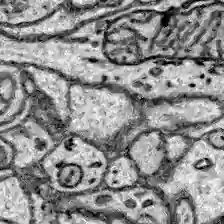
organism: Zebrafish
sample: Brain